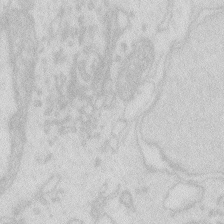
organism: Zebrafish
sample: Macrophage